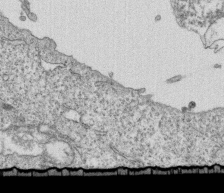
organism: Human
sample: HeLa cell HIV synapse